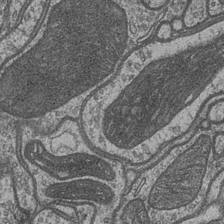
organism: Drosophila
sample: Optic medulla